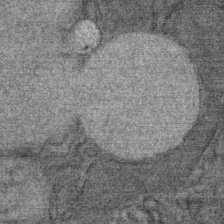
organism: Mouse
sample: Mouse Salivary gland